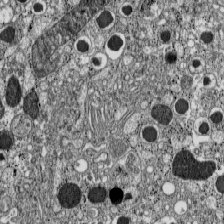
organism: C57BL Mouse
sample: Pancreatic islet